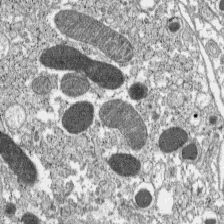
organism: C57BL Mouse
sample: Pancreatic islet